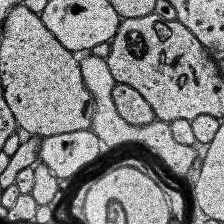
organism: Human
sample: Temporal Lobe